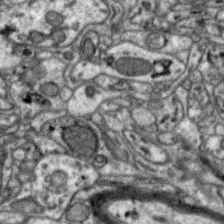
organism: Zebra finch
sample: Brain